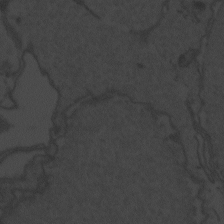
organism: Zebrafish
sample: Macrophage infected with Toxoplasma gondii